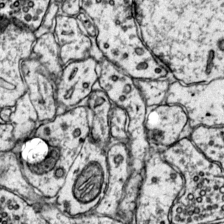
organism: Mouse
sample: Primary visual cortex